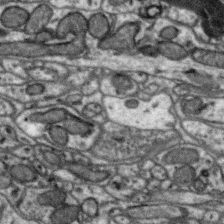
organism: Zebra finch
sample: Brain